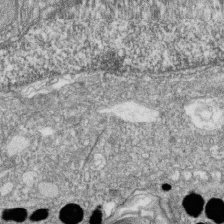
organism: Zebrafish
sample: Cilia; retinal pigment epithelium